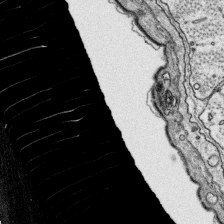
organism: Platynereis dumerilii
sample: Parapodia